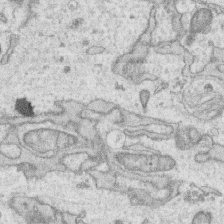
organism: Human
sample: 1205lu cells